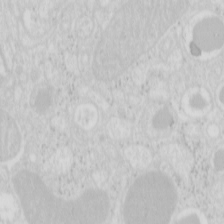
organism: Mouse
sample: Pancreas